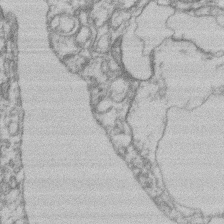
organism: Mouse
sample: T cell stromal cell synapse